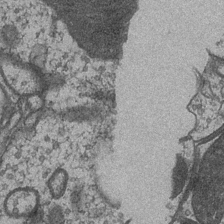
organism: Drosophila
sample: Optic medulla